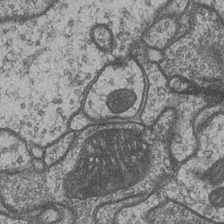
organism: Drosophila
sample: Optic medulla